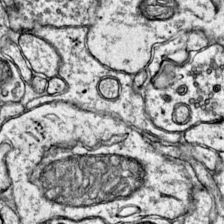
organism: Mouse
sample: Primary visual cortex